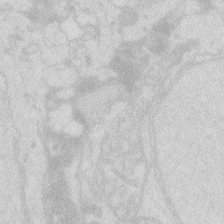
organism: Zebrafish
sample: Macrophage